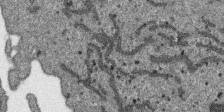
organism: Human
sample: Lung epithelial cells infected with SARS-CoV-2